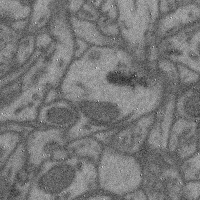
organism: Mouse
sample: Cerebral cortex